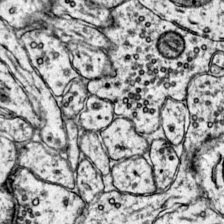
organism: Mouse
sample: Primary visual cortex